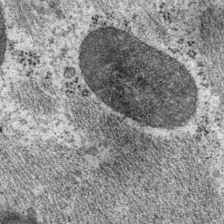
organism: P. pacificus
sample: Pharynx